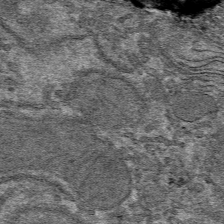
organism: Mouse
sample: Mouse hepatocytes